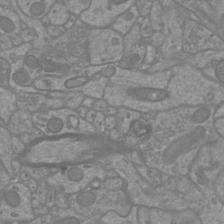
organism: Mouse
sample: Cortical neurons